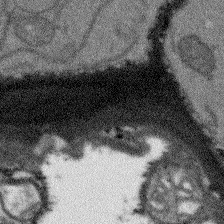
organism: Arabidopsis thaliana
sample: Root tip